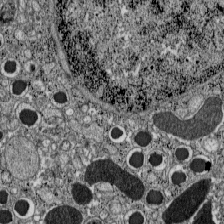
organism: C57BL Mouse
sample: Pancreatic islet